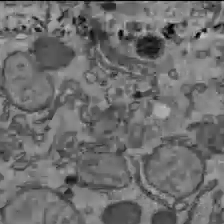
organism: C57BL Mouse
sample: Liver